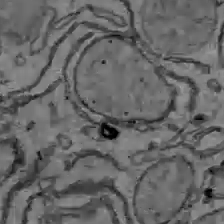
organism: C57BL Mouse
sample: Liver